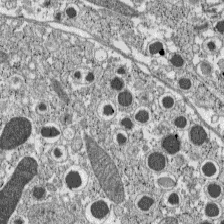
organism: C57BL Mouse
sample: Pancreatic islet